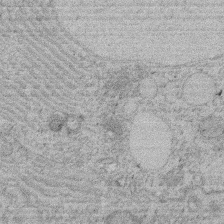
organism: Rat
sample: Salivary granule